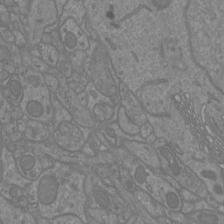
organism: Mouse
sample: Cortical neurons